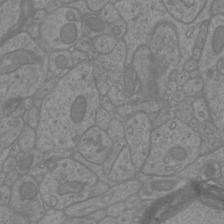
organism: Mouse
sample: Cortical neurons